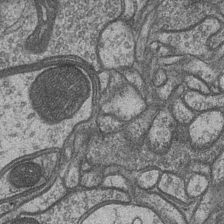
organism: Drosophila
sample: Optic medulla